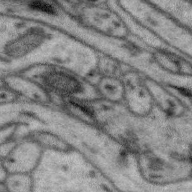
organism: Zebra finch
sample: Brain